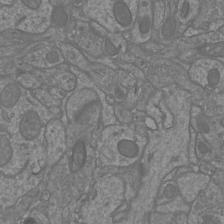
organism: Mouse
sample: Cortical neurons